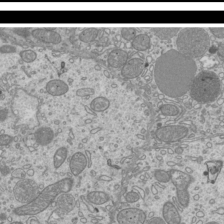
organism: Mouse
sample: Cilia; mouse epididymis